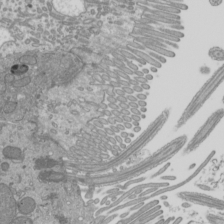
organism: Mouse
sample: Cilia; mouse epididymis